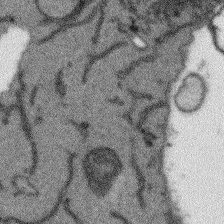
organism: Arabidopsis thaliana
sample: Root tip